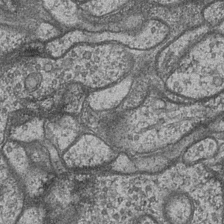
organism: Drosophila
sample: Optic medulla